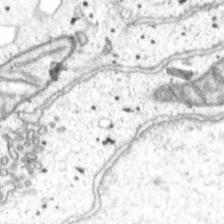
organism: Human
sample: HeLa cells